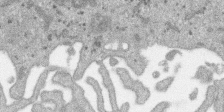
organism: Human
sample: Lung epithelial cells infected with SARS-CoV-2